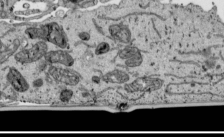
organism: Human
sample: Mitochondria in HCT116 cells